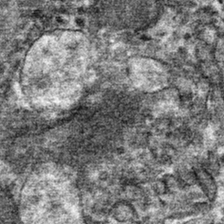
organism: Mouse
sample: Mouse hepatocytes